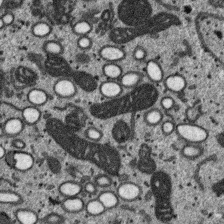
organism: Human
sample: Lung epithelial cells infected with SARS-CoV-2